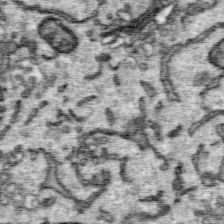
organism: Human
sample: HeLa cells